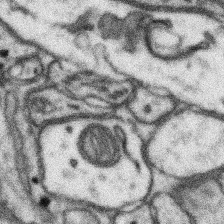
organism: Mouse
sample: Somatosensory cortex neuropil